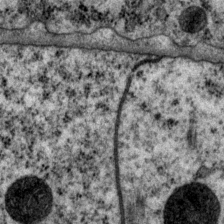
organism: P. pacificus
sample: Pharynx